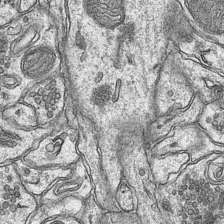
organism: Mouse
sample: CA1 Hippocampus